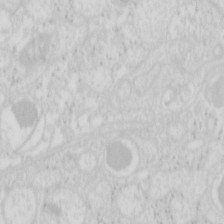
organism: Mouse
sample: Pancreas